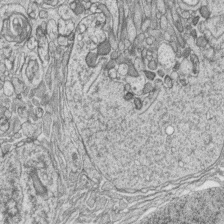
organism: Zebrafish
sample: synaptic ribbons in rod cells and cone cells